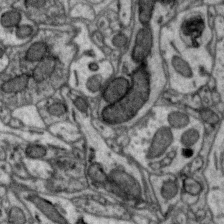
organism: Zebra finch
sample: Brain